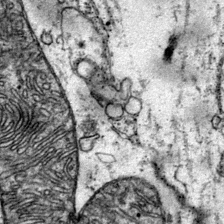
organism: Mouse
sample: Primary visual cortex